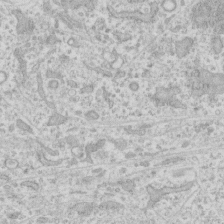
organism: Human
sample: Fibroblast cells